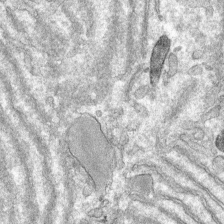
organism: Mouse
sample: Mouse hepatocytes